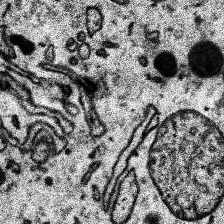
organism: Human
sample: Temporal Lobe